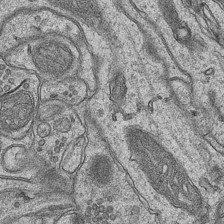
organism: Mouse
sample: CA1 Hippocampus